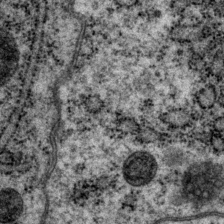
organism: P. pacificus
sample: Pharynx